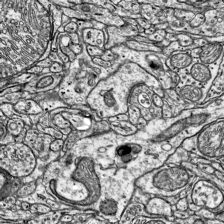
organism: Mouse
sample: Visual Cortex